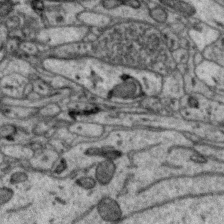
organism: Zebra finch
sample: Brain